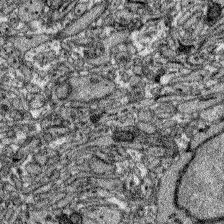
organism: Zebrafish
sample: Larval olfactory bulb